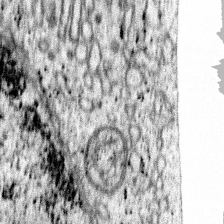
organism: Human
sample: HeLa cells